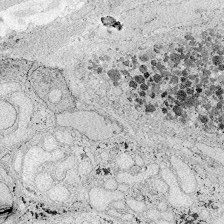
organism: Zebrafish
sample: Whole-Brain